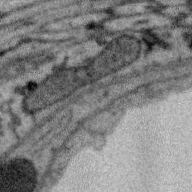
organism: Zebra finch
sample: Brain